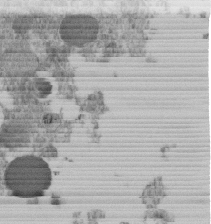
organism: C. elegans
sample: C. elegans embryo early stage